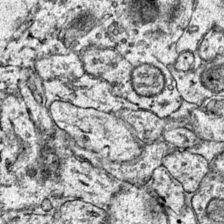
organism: Mouse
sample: Primary visual cortex